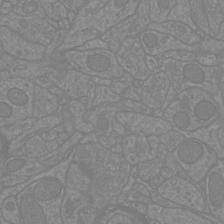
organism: Mouse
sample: Cortical neurons